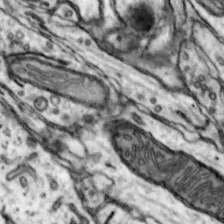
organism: Mouse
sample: Nucleus accumbens